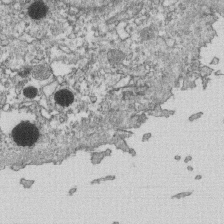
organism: Human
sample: HeLa cell HIV synapse